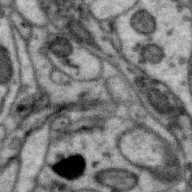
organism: Zebra finch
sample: Brain